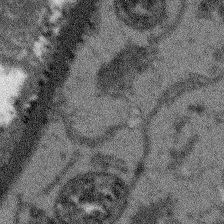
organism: Arabidopsis thaliana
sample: Root tip